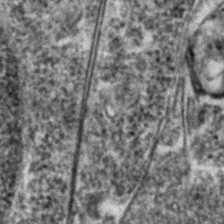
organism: Zebrafish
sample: Zebrafish embryo